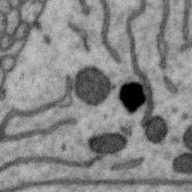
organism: Zebra finch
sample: Brain